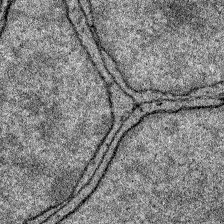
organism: Zebrafish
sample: Larval olfactory bulb